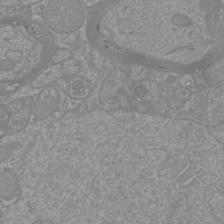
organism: Mouse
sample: Cortical neurons